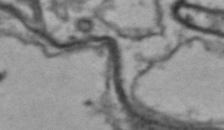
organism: Drosophila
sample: Brain